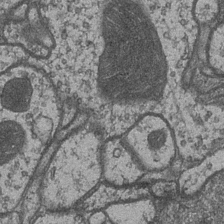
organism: Drosophila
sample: Optic medulla